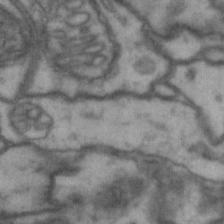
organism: Drosophila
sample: Brain